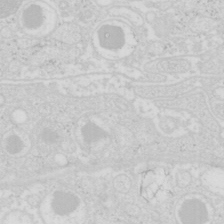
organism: Mouse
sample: Pancreas